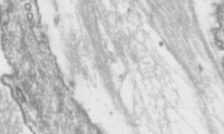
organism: Toxoplasma gondii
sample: Parasites in a vacuole inside a host cell